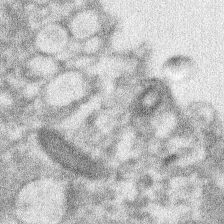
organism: Xenopus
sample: Cilia; centrioles in frog embryo cells